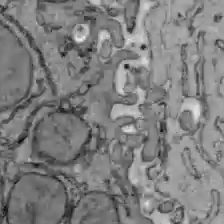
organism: C57BL Mouse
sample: Liver